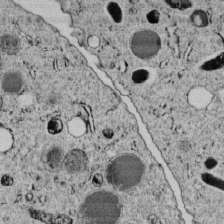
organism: C. elegans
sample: C. elegans embryo early stage